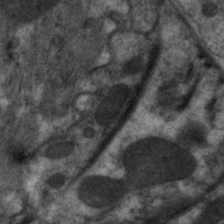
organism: C. elegans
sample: Pharynx